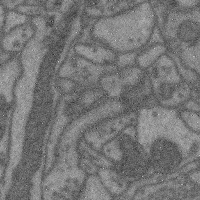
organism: Mouse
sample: Cerebral cortex